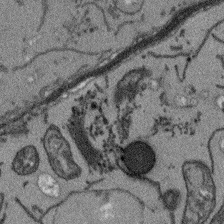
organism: Arabidopsis thaliana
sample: Root tip